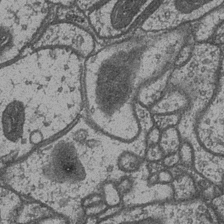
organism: Drosophila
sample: Optic medulla